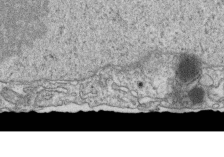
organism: Human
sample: HeLa cell HIV synapse